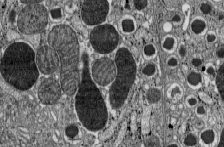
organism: C57BL Mouse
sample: Pancreatic islet